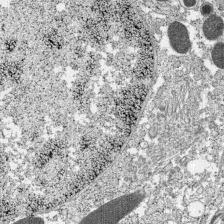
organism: C57BL Mouse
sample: Pancreatic islet